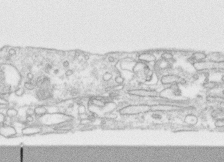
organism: Human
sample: CRL-1474